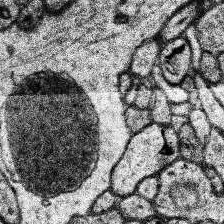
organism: Human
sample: Temporal Lobe